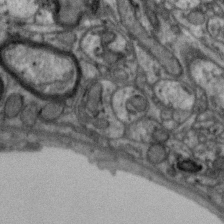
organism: Zebra finch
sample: Brain